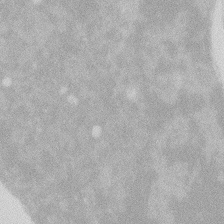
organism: Zebrafish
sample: Macrophage